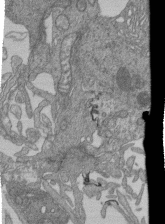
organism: Human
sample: Retinal organoid Rod and Cone cells